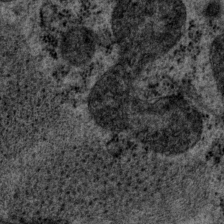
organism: P. pacificus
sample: Pharynx